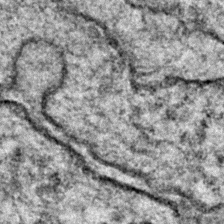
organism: Zebrafish